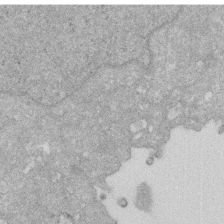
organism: Human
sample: HIV infected U937 cells